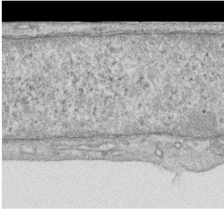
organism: Human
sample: Centriole in RPE cells